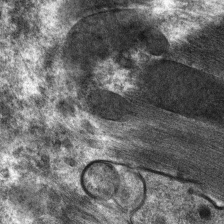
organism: C. elegans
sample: Pharynx